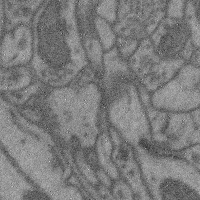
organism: Mouse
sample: Cerebral cortex